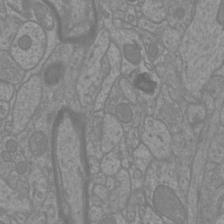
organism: Mouse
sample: Cortical neurons